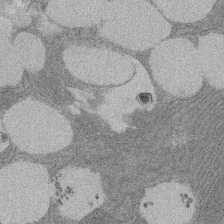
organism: Rat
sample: Salivary granule